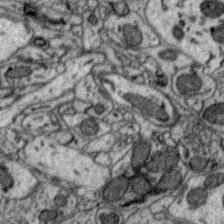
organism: Zebra finch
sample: Brain